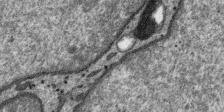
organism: Human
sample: Lung epithelial cells, uninfected (mock) control